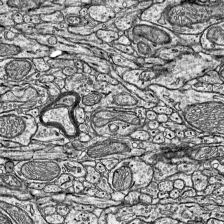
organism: Mouse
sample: Visual Cortex